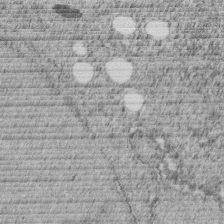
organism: C. elegans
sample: C. elegans embryo early stage